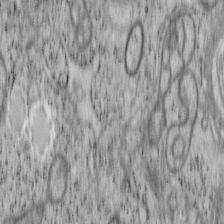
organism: Human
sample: HeLa cells